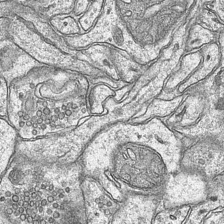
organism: Mouse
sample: CA1 Hippocampus